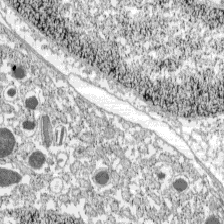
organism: C57BL Mouse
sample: Pancreatic islet